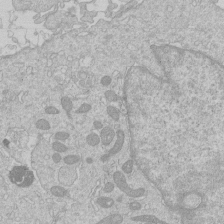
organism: Human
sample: Macrophage cells